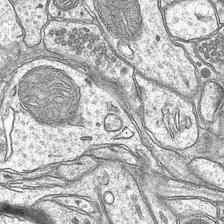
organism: Mouse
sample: CA1 Hippocampus